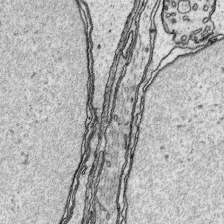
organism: Platynereis dumerilii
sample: Parapodia